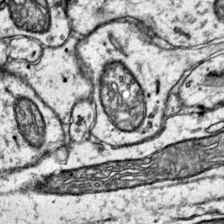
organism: Mouse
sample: Primary visual cortex